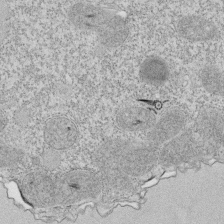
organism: Tetrahymena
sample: Cilia in tetrahymena